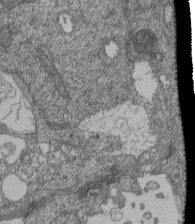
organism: Human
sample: Retinal organoid Rod and Cone cells